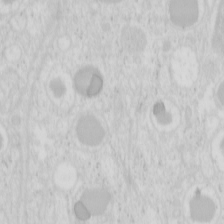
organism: Mouse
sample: Pancreas